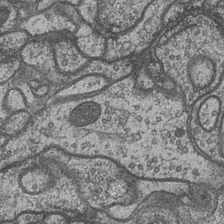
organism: Drosophila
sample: Optic medulla